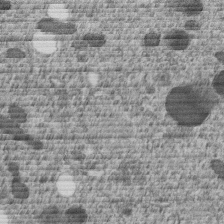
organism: C. elegans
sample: C. elegans embryo early stage